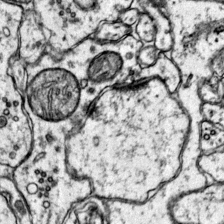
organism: Mouse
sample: Primary visual cortex